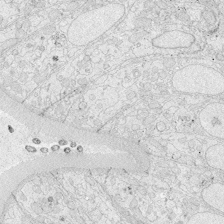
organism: Zebrafish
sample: Whole-Brain